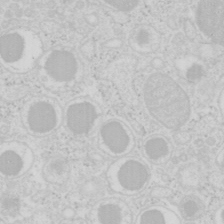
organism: Mouse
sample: Pancreas